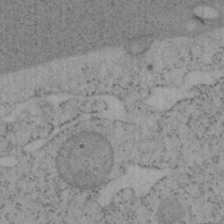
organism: Mouse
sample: OT-I killer T cells with ID8 ovarian cancer cells